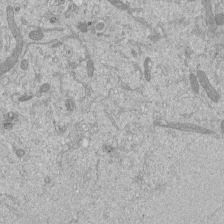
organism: Mouse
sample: ED-1 cell nuclei; centrioles